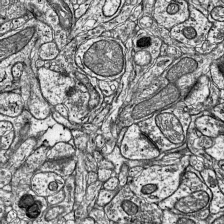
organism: Mouse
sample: Visual Cortex